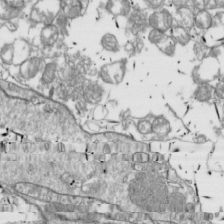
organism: Drosophila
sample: Cell division; meiosis; drosophila spermatocytes